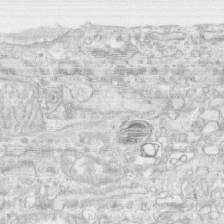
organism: Human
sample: CRL-1474